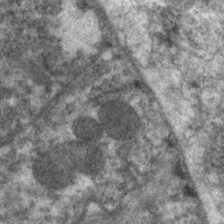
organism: C. elegans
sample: Pharynx